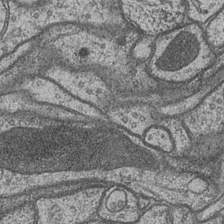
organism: Drosophila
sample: Optic medulla